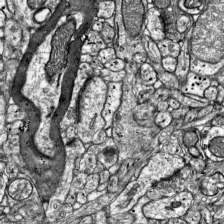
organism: Mouse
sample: Visual Cortex